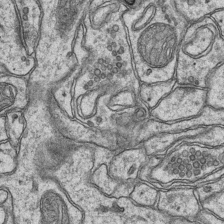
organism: Mouse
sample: CA1 Hippocampus